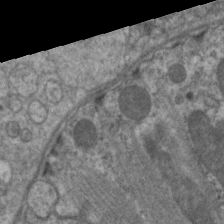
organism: C. elegans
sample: Pharynx